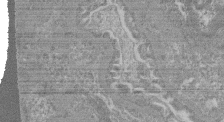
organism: Mouse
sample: Glomerulus